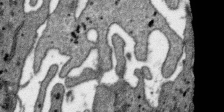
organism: Human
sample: Lung epithelial cells, uninfected (mock) control